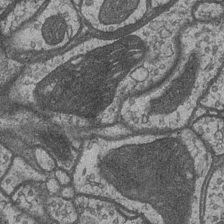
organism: Drosophila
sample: Optic medulla